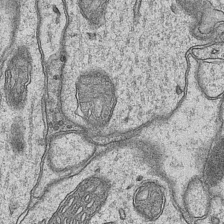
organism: Mouse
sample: CA1 Hippocampus